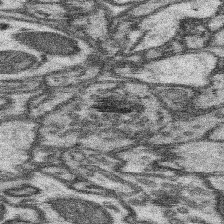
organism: Mouse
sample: Somatosensory cortex neuropil